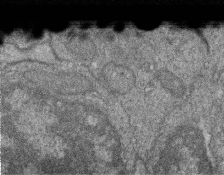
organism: Zebrafish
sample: Cilia; retinal pigment epithelium